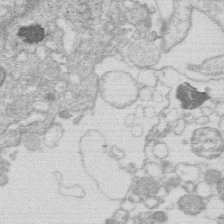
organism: Human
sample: Macrophage cells